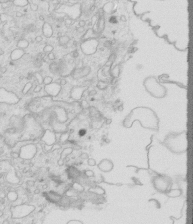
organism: Mouse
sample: Multiciliated cells